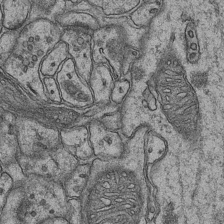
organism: Mouse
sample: CA1 Hippocampus